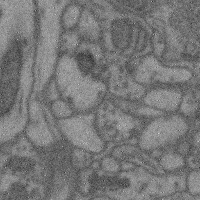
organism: Mouse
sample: Cerebral cortex